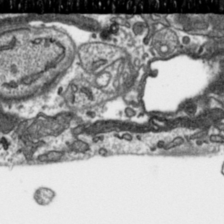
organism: Toxoplasma gondii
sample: Parasites in a vacuole inside a host cell